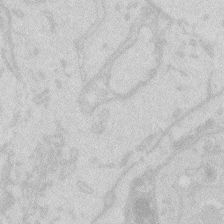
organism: Zebrafish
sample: Macrophage